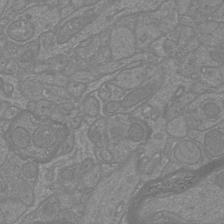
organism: Mouse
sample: Cortical neurons